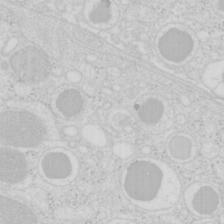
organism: Mouse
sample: Pancreas